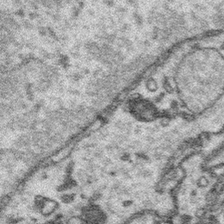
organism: Platynereis dumerilii